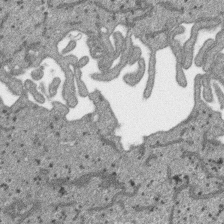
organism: Human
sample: Lung epithelial cells infected with SARS-CoV-2